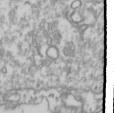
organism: Drosophila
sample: Cell division; meiosis; drosophila spermatocytes